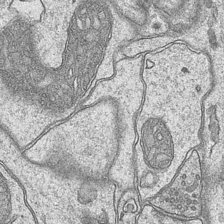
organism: Mouse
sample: CA1 Hippocampus